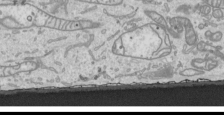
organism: Human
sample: Mitochondria in HCT116 cells